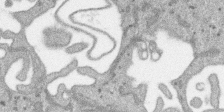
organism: Human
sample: Lung epithelial cells infected with SARS-CoV-2